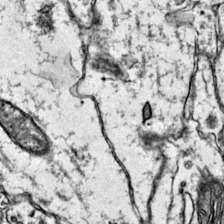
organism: Mouse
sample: Primary visual cortex